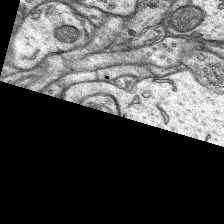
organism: Rat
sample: Hippocampus